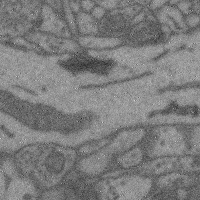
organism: Mouse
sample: Cerebral cortex